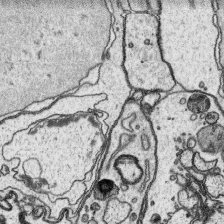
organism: Platynereis dumerilii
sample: Parapodia